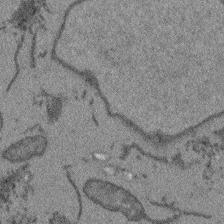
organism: Arabidopsis thaliana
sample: Root tip